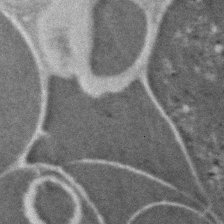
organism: Zebrafish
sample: Zebrafish embryo